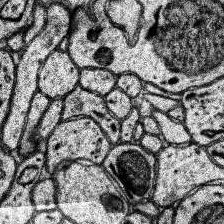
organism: Human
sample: Temporal Lobe